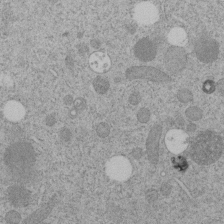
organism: C. elegans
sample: C. elegans embryo early stage